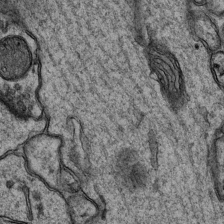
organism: Mouse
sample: CA1 Hippocampus